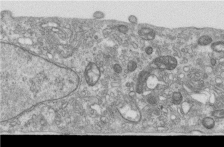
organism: Human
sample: Centriole in RPE cells